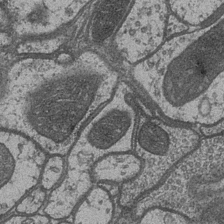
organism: Drosophila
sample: Optic medulla